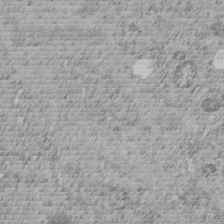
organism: C. elegans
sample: C. elegans embryo early stage